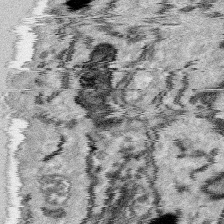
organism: Human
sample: HeLa cells